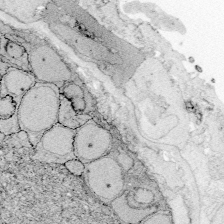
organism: Zebrafish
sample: Whole-Brain